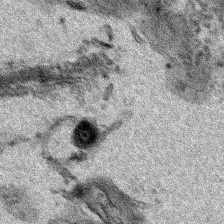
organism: Human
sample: Mitochondria in HCT116 cells